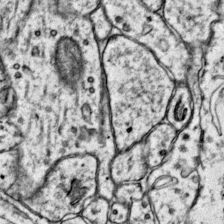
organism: Mouse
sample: Primary visual cortex